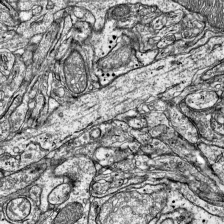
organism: Mouse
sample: Visual Cortex